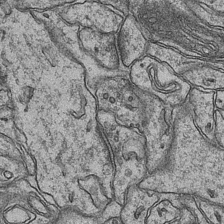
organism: Mouse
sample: CA1 Hippocampus